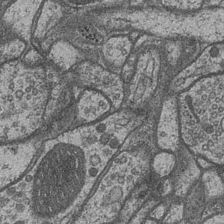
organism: Drosophila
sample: Optic medulla